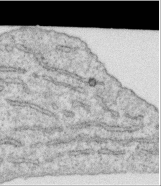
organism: Human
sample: Centriole in RPE cells